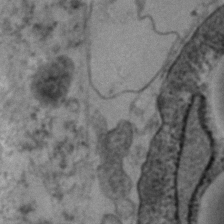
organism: Human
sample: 1205lu cells